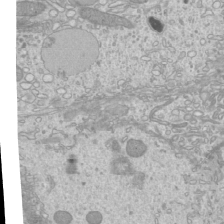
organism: Mouse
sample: Cilia; mouse epididymis